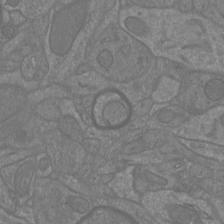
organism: Mouse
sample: Cortical neurons